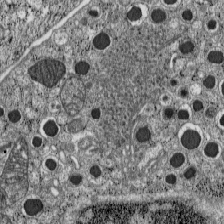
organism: C57BL Mouse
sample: Pancreatic islet